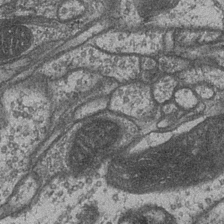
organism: Drosophila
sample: Optic medulla